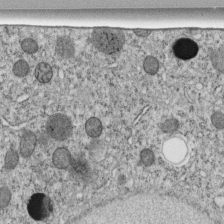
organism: C. elegans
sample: C. elegans embryo early stage